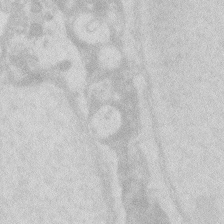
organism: Zebrafish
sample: Macrophage